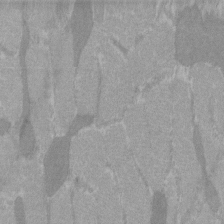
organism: C57BL Mouse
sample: Tibialis anterior muscle cell